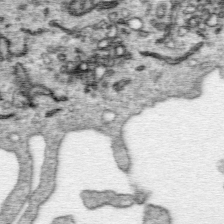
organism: Human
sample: HeLa cells